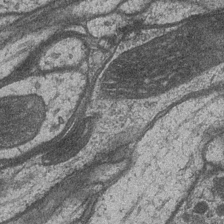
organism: Drosophila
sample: Optic medulla